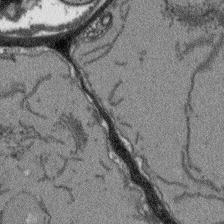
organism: Arabidopsis thaliana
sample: Root tip